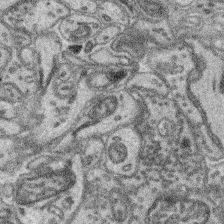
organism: Mouse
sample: Retina